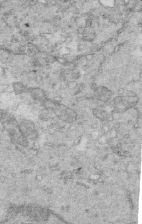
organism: Mouse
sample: Multiciliated cells